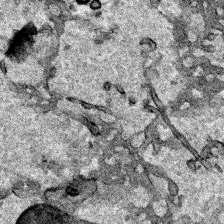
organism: Human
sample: Mitochondria in HCT116 cells